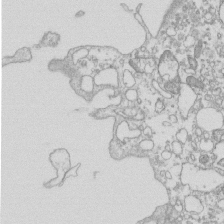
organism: Mouse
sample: Macrophages